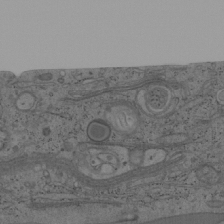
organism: Human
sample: HeLa cells